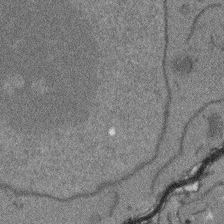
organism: Arabidopsis thaliana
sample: Root tip